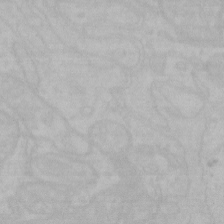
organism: Mouse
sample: Choroid plexus